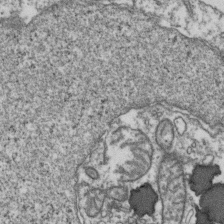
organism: Human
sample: Activated Jurkat CD4+ T cells